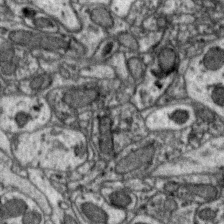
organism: Zebra finch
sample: Brain